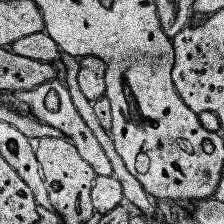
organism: Human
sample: Temporal Lobe